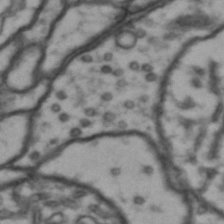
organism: Drosophila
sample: Brain